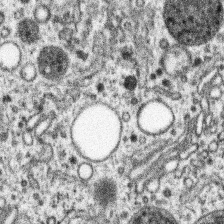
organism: Human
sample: HeLa cells